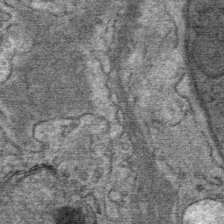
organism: Mouse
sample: Mouse Salivary gland